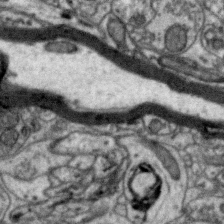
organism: Zebra finch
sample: Brain